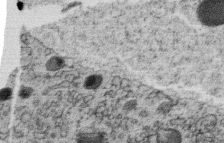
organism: C. elegans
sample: C. elegans oocyte; sperm cells